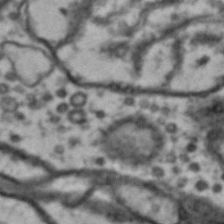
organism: Drosophila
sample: Brain